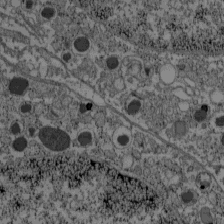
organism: C57BL Mouse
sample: Pancreatic islet